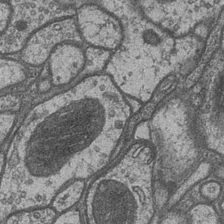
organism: Drosophila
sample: Optic medulla